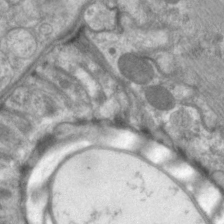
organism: C. elegans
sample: Pharynx